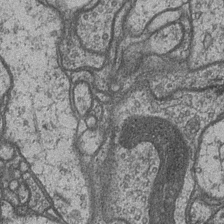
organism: Drosophila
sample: Optic medulla